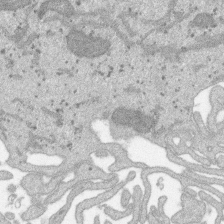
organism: Human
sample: Lung epithelial cells infected with SARS-CoV-2